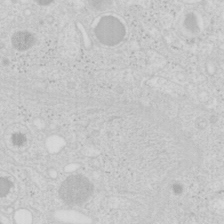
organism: Mouse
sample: Pancreas